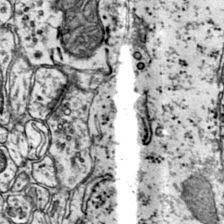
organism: Mouse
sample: Primary visual cortex